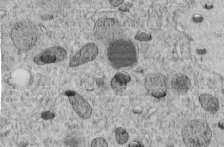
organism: C. elegans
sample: C. elegans embryo early stage